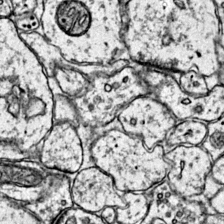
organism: Mouse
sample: Primary visual cortex